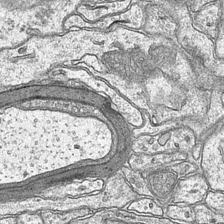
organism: Mouse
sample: CA1 Hippocampus